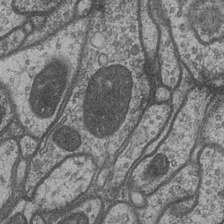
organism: Drosophila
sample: Optic medulla